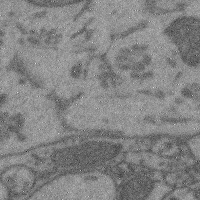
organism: Mouse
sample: Cerebral cortex